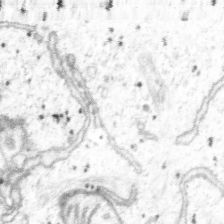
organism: Human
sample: HeLa cells